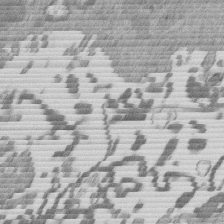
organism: Mouse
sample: Dividing mouse embryo 1 cell stage